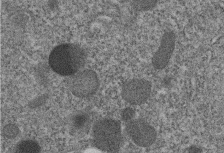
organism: C. elegans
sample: C. elegans embryo early stage